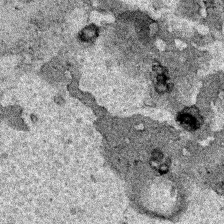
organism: Human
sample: Mitochondria in HCT116 cells